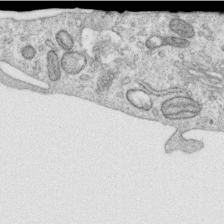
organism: Human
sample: Centriole in RPE cells